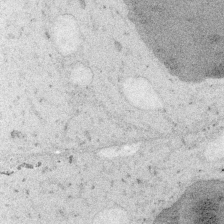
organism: Embia sp.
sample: Silk gland